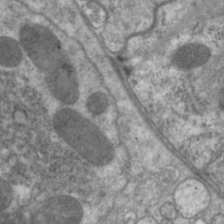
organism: C. elegans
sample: Pharynx